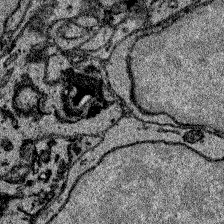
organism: Zebrafish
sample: Larval olfactory bulb